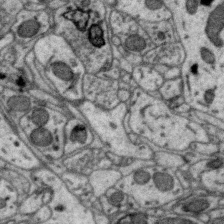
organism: Zebra finch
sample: Brain